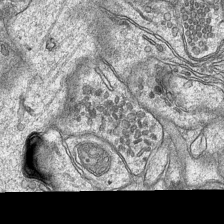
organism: Mouse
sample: CA1 Hippocampus